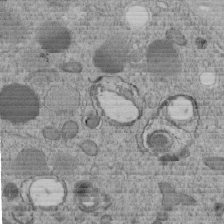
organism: C. elegans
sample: C. elegans embryo early stage